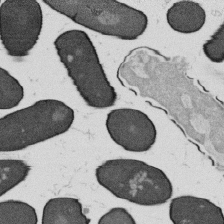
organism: B. subtilis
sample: Bacterial spore